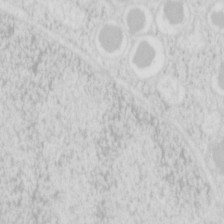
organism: Mouse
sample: Pancreas